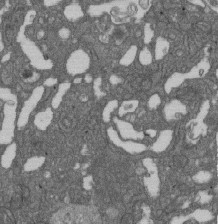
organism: Drosophila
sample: Nephrocyte